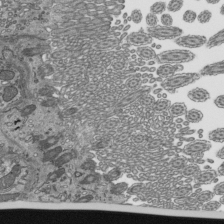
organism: Mouse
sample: Mouse epididymis efferent ductule cilia